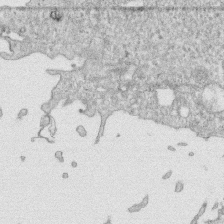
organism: Human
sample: HeLa cell HIV synapse